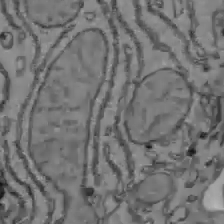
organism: C57BL Mouse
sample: Liver